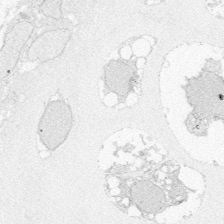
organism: Zebrafish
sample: Whole-Brain